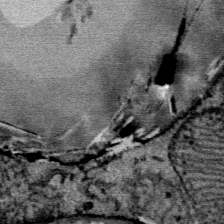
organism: Mouse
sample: Mouse Salivary gland